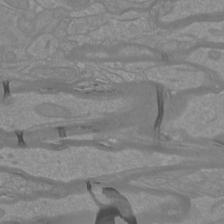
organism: Mouse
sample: Cortical neurons